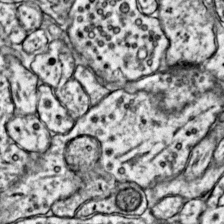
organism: Mouse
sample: Primary visual cortex